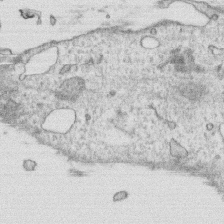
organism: Human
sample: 1205lu cells